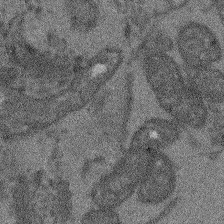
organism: Arabidopsis thaliana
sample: Root tip